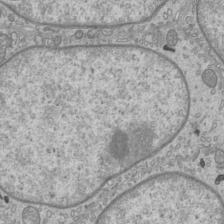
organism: Mouse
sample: Cilia; mouse epididymis